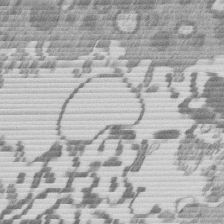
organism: Mouse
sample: Dividing mouse embryo 1 cell stage